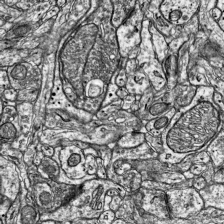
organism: Mouse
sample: Visual Cortex